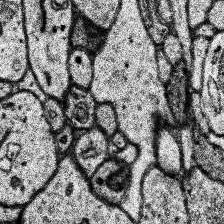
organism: Human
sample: Temporal Lobe